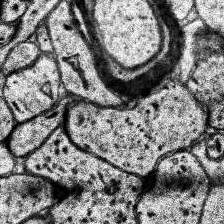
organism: Human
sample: Temporal Lobe